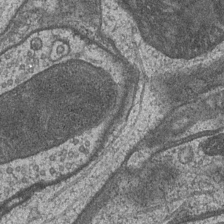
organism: Drosophila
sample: Optic medulla